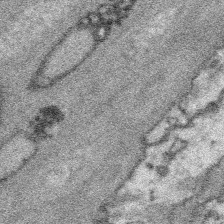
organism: Platynereis dumerilii